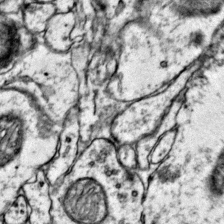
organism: Mouse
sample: Primary visual cortex